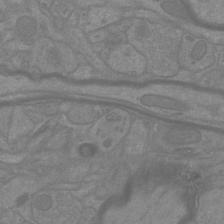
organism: Mouse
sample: Cortical neurons